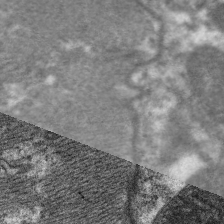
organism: C. elegans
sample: Pharynx